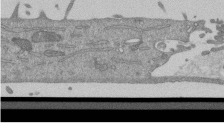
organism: Mouse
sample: ED-1 cell nuclei; centrioles